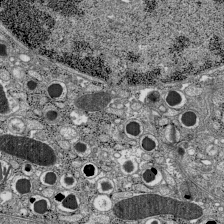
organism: C57BL Mouse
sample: Pancreatic islet